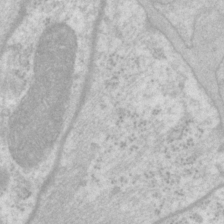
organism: P. pacificus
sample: Pharynx